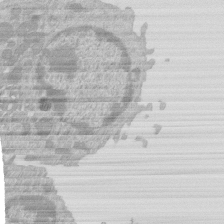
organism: Mouse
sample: Activated Pmel transgenic CD8+ T Cells